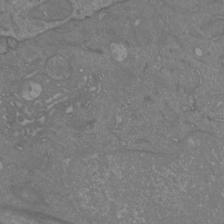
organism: Mouse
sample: Cortical neurons